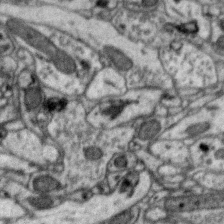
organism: Zebra finch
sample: Brain